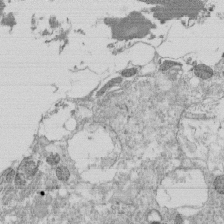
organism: Tetrahymena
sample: Cilia in tetrahymena